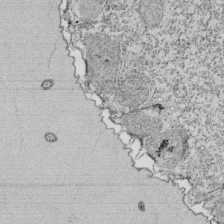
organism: Tetrahymena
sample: Cilia in tetrahymena